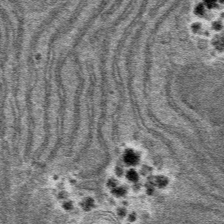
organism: Mouse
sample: Mouse hepatocytes